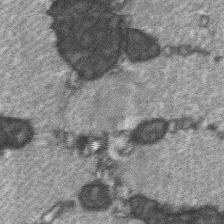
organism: C57BL Mouse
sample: Soleus